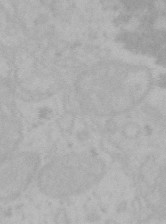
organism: Mouse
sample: Choroid plexus